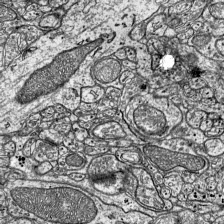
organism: Mouse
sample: Visual Cortex